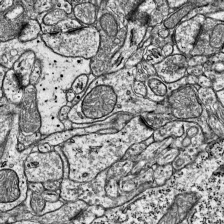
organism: Mouse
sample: Visual Cortex